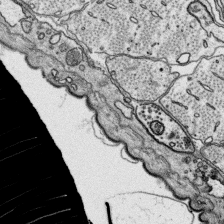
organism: Platynereis dumerilii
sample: Parapodia